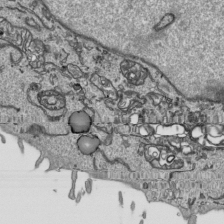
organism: Human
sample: Mitochondria in HCT116 cells